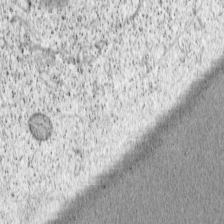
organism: African green monkey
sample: COS-7 cells